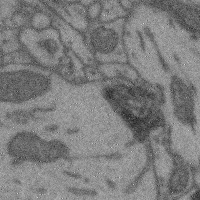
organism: Mouse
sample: Cerebral cortex